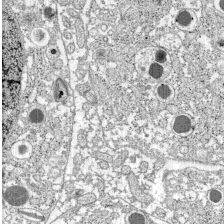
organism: C57BL Mouse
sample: Pancreatic islet